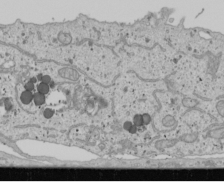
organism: Human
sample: Mitochondria in U2OS cells